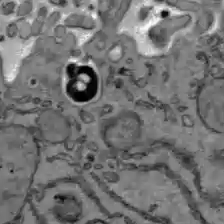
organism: C57BL Mouse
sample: Liver